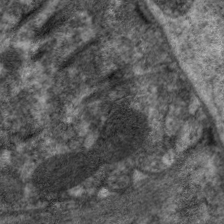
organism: C. elegans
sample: Pharynx